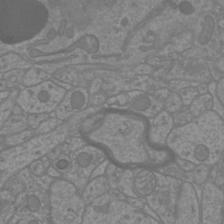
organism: Mouse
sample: Cortical neurons